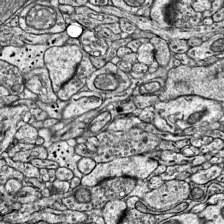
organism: Mouse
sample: Visual Cortex